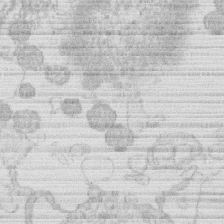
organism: Human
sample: Macrophage cells